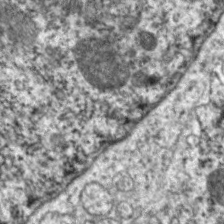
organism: C. elegans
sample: Pharynx